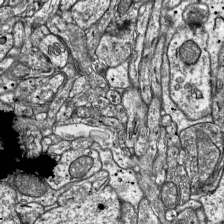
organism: Mouse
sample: Visual Cortex